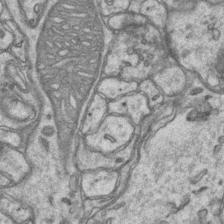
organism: Mouse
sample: CA1 Hippocampus